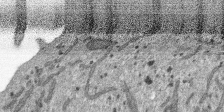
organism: Human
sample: Lung epithelial cells infected with SARS-CoV-2